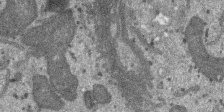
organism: Human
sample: Lung epithelial cells infected with SARS-CoV-2